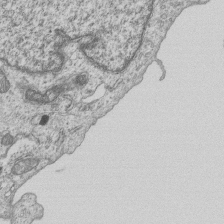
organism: Human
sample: MDA-MB-231 cells